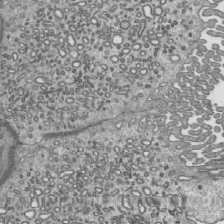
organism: Mouse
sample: Mouse epididymis efferent ductule cilia